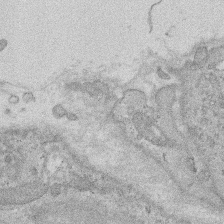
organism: Rat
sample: Salivary granule